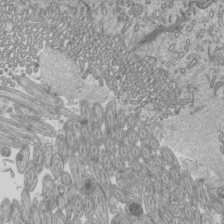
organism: Mouse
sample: Cilia; mouse epididymis